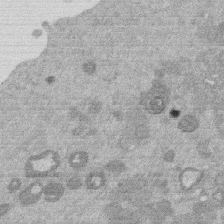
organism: Mouse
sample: Dividing mouse embryo 1 cell stage